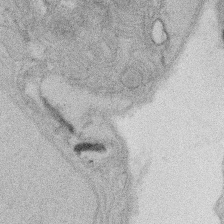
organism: Rat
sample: Salivary granule